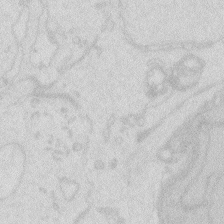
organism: Zebrafish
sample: Macrophage